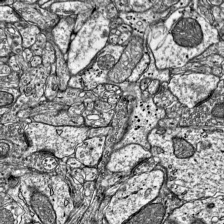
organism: Mouse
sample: Visual Cortex